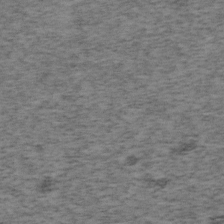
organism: Mouse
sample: OT-I killer T cells with ID8 ovarian cancer cells